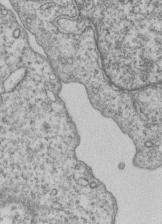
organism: Human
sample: MDA-MB-231 cells